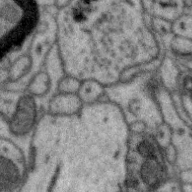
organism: Zebra finch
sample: Brain